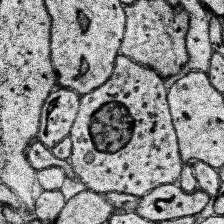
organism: Human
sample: Temporal Lobe